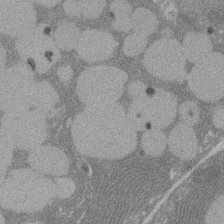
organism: Rat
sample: Salivary granule